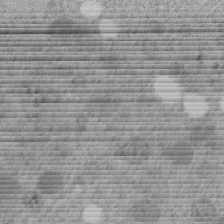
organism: C. elegans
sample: C. elegans embryo early stage